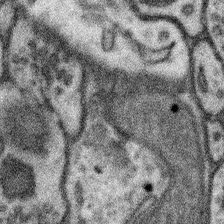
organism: Mouse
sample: Somatosensory cortex neuropil